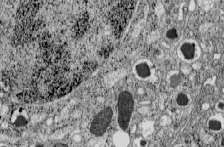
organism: C57BL Mouse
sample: Pancreatic islet